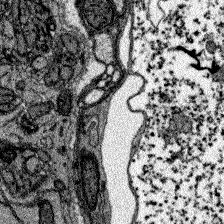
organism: Zebrafish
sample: Larval olfactory bulb